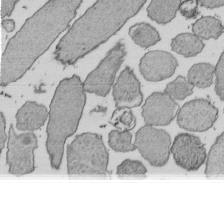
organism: E. coli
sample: Bacterial nucleoid